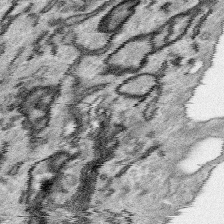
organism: Human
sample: HeLa cells